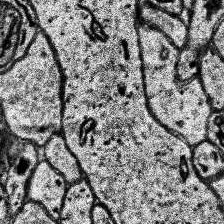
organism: Human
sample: Temporal Lobe